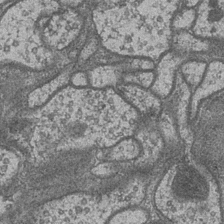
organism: Drosophila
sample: Optic medulla